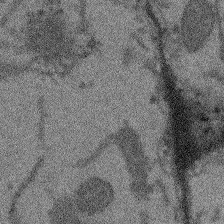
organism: Arabidopsis thaliana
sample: Root tip